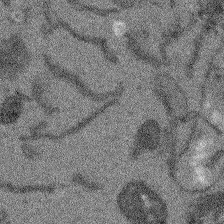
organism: Arabidopsis thaliana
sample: Root tip